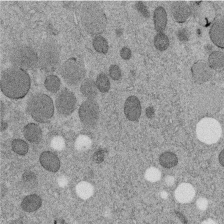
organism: C. elegans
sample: C. elegans embryo early stage